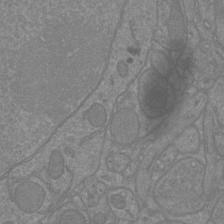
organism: Mouse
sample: Cortical neurons